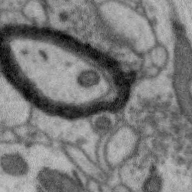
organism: Zebra finch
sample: Brain